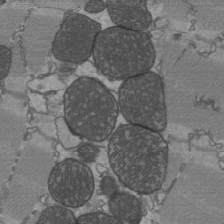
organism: C57BL Mouse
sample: Heart